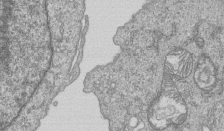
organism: Human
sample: MDA-MB-231 cells